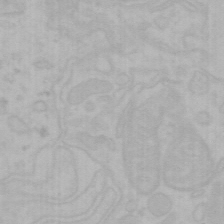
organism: Mouse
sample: Choroid plexus